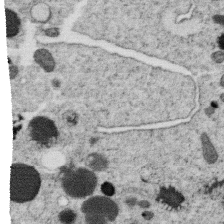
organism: C. elegans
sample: C. elegans oocyte; sperm cells